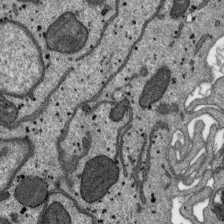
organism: Human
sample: Lung epithelial cells, uninfected (mock) control